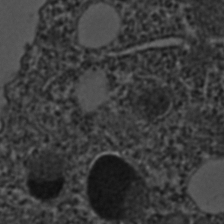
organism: C. elegans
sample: C. elegans embryo